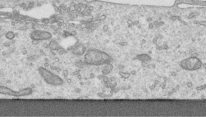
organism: Human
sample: Centriole in RPE cells